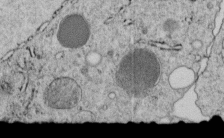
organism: C. elegans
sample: C. elegans embryo early stage